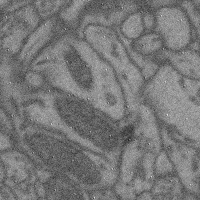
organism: Mouse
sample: Cerebral cortex